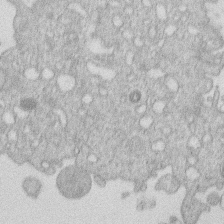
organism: Human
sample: Macrophage cells